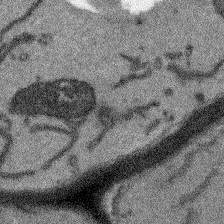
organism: Arabidopsis thaliana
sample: Root tip